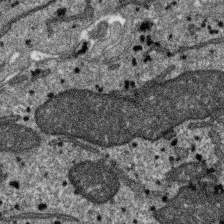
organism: Human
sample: Lung epithelial cells infected with SARS-CoV-2